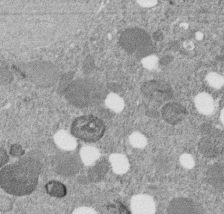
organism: C. elegans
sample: C. elegans embryo early stage